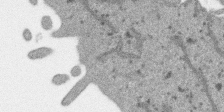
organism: Human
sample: Lung epithelial cells infected with SARS-CoV-2